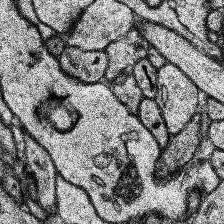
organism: Human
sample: Temporal Lobe